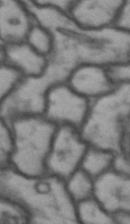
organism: Drosophila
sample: Brain